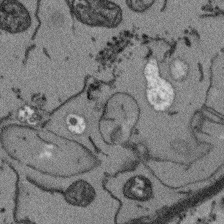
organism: Arabidopsis thaliana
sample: Root tip